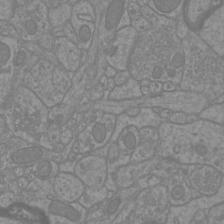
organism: Mouse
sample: Cortical neurons